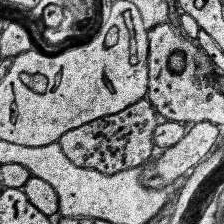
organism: Human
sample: Temporal Lobe